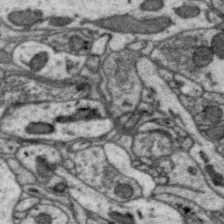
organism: Zebra finch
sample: Brain